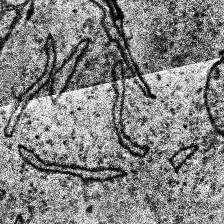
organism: Human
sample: Temporal Lobe